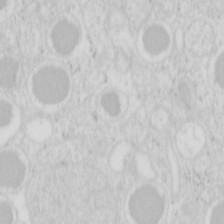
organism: Mouse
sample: Pancreas